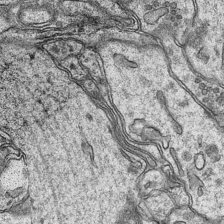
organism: Mouse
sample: CA1 Hippocampus